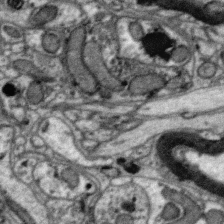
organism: Zebra finch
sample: Brain